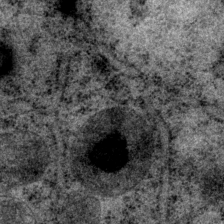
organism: P. pacificus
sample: Pharynx